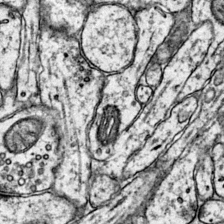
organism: Mouse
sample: Primary visual cortex